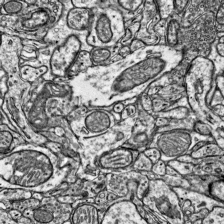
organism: Mouse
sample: Visual Cortex